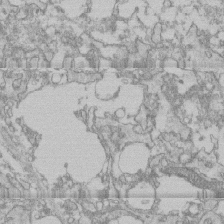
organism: Human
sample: CRL-1474